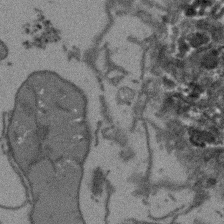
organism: Arabidopsis thaliana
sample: Root tip